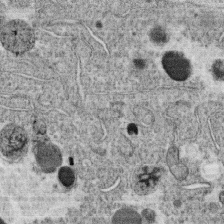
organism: C. elegans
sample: C. elegans oocyte; sperm cells